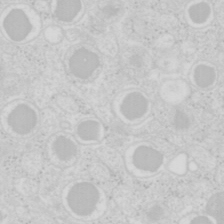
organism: Mouse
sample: Pancreas